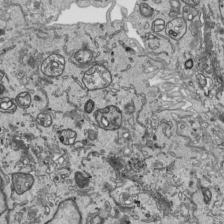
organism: Human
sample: Mitochondria in HCT116 cells